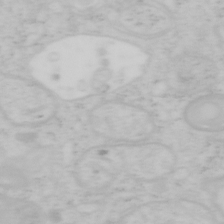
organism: Mouse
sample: OT-I killer T cells with ID8 ovarian cancer cells